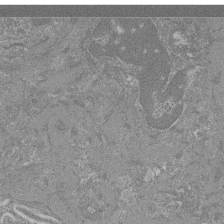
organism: Mouse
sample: Glomerulus